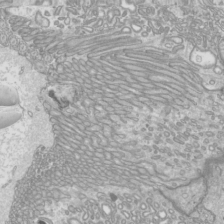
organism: Mouse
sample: Cilia; mouse epididymis